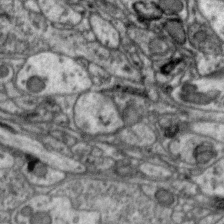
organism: Zebra finch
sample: Brain